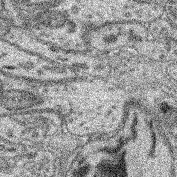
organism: Mouse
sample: Retina